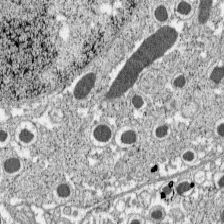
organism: C57BL Mouse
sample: Pancreatic islet